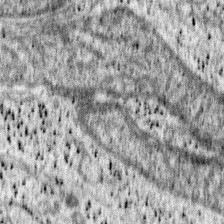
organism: Human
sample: HeLa cells